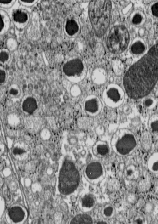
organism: C57BL Mouse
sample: Pancreatic islet